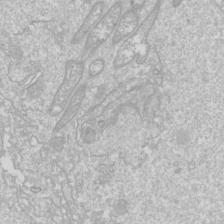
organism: Drosophila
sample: Cell division; meiosis; drosophila spermatocytes